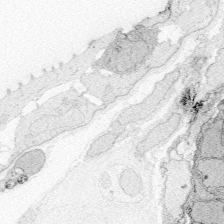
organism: Zebrafish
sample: Whole-Brain